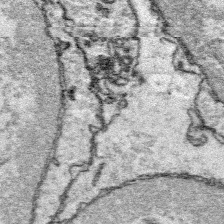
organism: Platynereis dumerilii